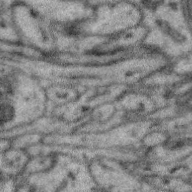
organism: Zebra finch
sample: Brain